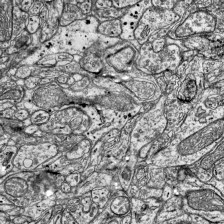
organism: Mouse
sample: Visual Cortex